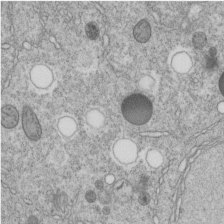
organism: C. elegans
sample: C. elegans embryo early stage